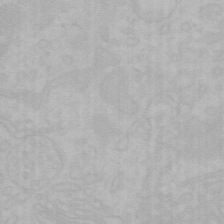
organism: Mouse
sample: Choroid plexus